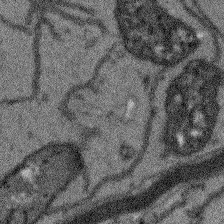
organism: Arabidopsis thaliana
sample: Root tip